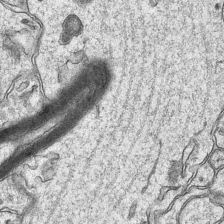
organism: Mouse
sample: CA1 Hippocampus